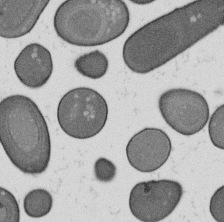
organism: B. subtilis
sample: Bacterial spore